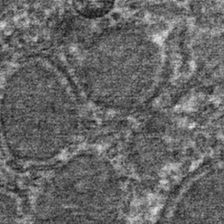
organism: Mouse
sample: Mouse hepatocytes